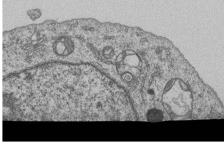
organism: Human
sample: MDA-MB-231 cells